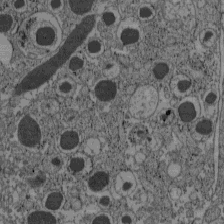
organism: C57BL Mouse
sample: Pancreatic islet